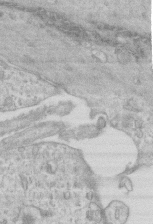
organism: Mouse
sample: Centriole in ependymal cells